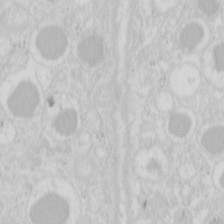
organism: Mouse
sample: Pancreas